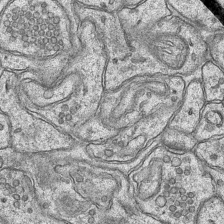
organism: Mouse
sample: CA1 Hippocampus